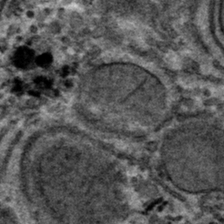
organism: Mouse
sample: Mouse hepatocytes